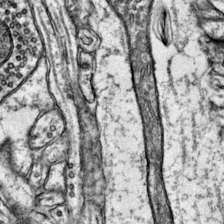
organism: Mouse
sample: Primary visual cortex